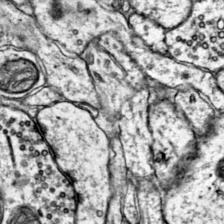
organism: Mouse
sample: Primary visual cortex